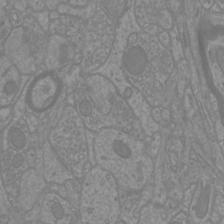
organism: Mouse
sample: Cortical neurons